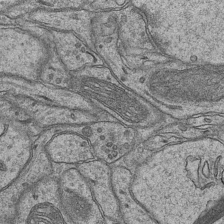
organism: Mouse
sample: CA1 Hippocampus